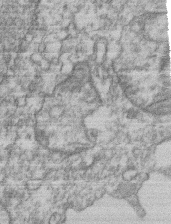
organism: Mouse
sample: T cell stromal cell synapse